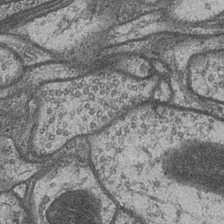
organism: Drosophila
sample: Optic medulla